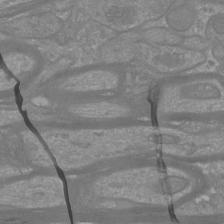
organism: Mouse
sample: Cortical neurons